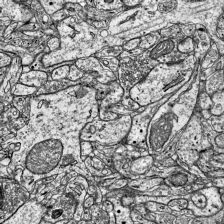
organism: Mouse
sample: Visual Cortex